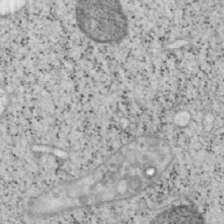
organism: Mouse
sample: OT-I killer T cells with ID8 ovarian cancer cells